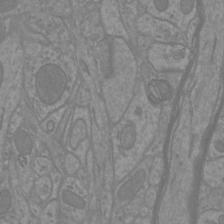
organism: Mouse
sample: Cortical neurons